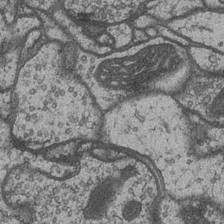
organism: Drosophila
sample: Optic medulla